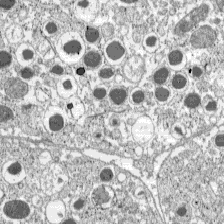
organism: C57BL Mouse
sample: Pancreatic islet